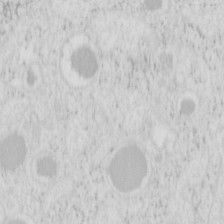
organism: Mouse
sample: Pancreas